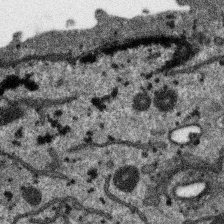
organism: Human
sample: Lung epithelial cells infected with SARS-CoV-2